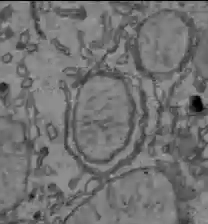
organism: C57BL Mouse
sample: Liver